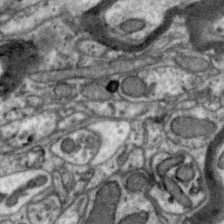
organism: Zebra finch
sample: Brain